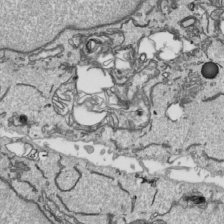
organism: Human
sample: Mitochondria in HCT116 cells